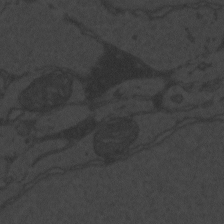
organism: Zebrafish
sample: Macrophage infected with Toxoplasma gondii